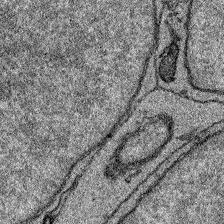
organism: Zebrafish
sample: Larval olfactory bulb